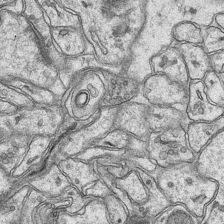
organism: Mouse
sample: CA1 Hippocampus